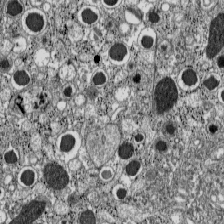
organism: C57BL Mouse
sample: Pancreatic islet